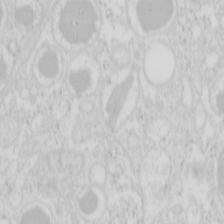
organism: Mouse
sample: Pancreas